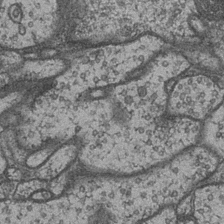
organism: Drosophila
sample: Optic medulla